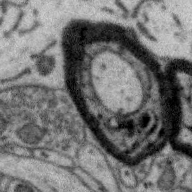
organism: Zebra finch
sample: Brain